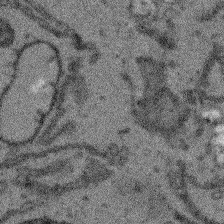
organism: Arabidopsis thaliana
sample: Root tip